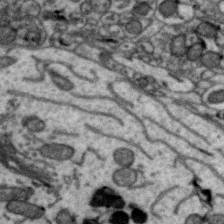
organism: Zebra finch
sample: Brain